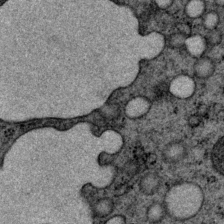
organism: P. pacificus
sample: Pharynx